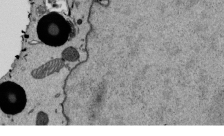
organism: Mouse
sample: ED-1 cell nuclei; centrioles